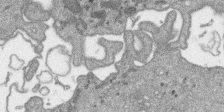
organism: Human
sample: Lung epithelial cells infected with SARS-CoV-2